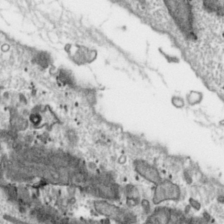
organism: Toxoplasma gondii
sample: Parasites in a vacuole inside a host cell